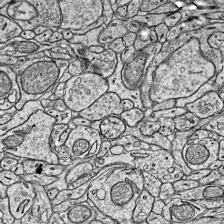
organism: Mouse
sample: Visual Cortex